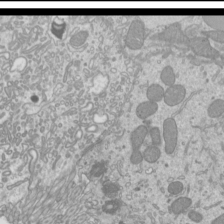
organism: Mouse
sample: Cilia; mouse epididymis